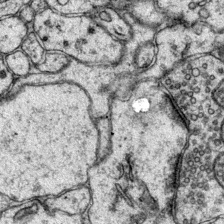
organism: Mouse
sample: Primary visual cortex